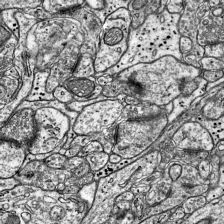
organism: Mouse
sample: Visual Cortex